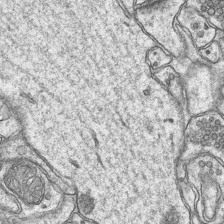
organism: Mouse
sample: CA1 Hippocampus